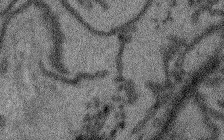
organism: Arabidopsis thaliana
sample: Root tip